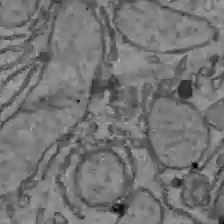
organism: C57BL Mouse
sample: Liver